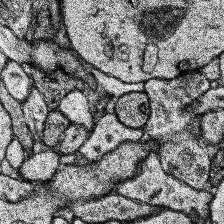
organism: Human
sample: Temporal Lobe